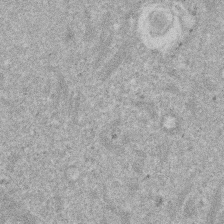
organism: Mouse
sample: Dividing mouse embryo 1 cell stage